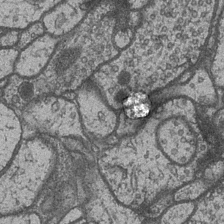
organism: Drosophila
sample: Optic medulla